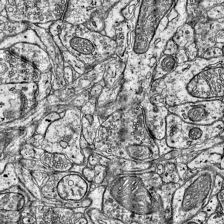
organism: Mouse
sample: Visual Cortex